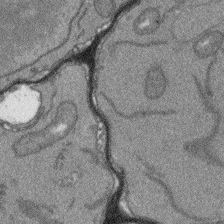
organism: Arabidopsis thaliana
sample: Root tip